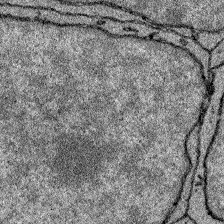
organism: Zebrafish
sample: Larval olfactory bulb